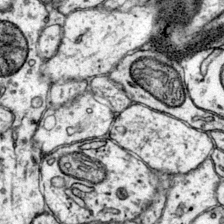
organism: Mouse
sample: Primary visual cortex